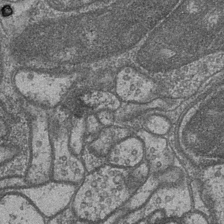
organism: Drosophila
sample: Optic medulla